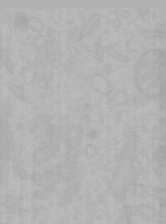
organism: Mouse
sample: Choroid plexus